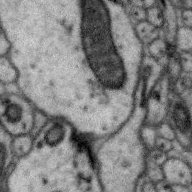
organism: Zebra finch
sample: Brain